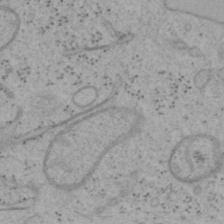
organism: Human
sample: HeLa cells